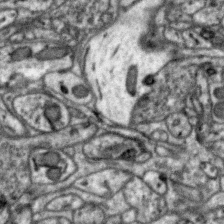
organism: Zebra finch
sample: Brain